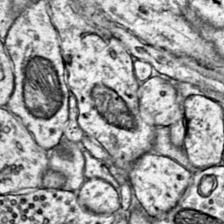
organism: Mouse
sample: Primary visual cortex